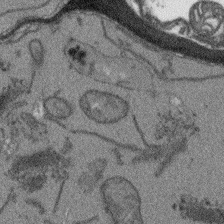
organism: Arabidopsis thaliana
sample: Root tip